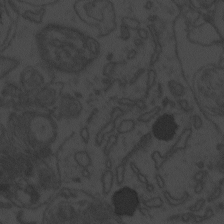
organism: Zebrafish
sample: Macrophage infected with Toxoplasma gondii